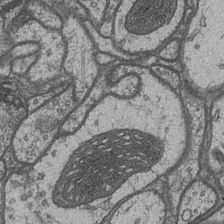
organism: Drosophila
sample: Optic medulla